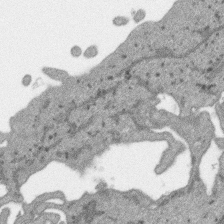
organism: Human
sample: Lung epithelial cells infected with SARS-CoV-2